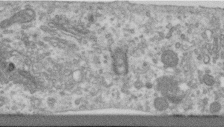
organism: Human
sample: Centriole in RPE cells